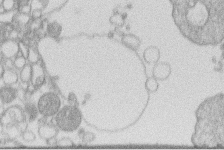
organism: Human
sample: Macrophage cells